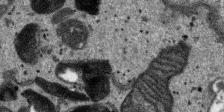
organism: Human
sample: Lung epithelial cells, uninfected (mock) control